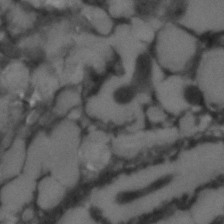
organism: C. elegans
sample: C. elegans embryo